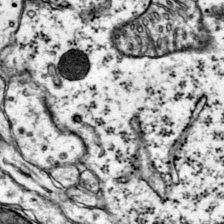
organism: Mouse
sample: Primary visual cortex